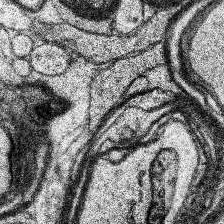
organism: Human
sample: Temporal Lobe